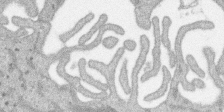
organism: Human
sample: Lung epithelial cells infected with SARS-CoV-2